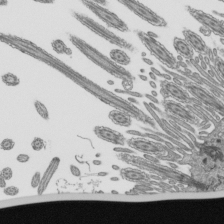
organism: Mouse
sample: Mouse epididymis efferent ductule cilia